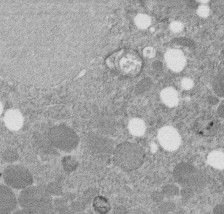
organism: C. elegans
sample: C. elegans embryo early stage